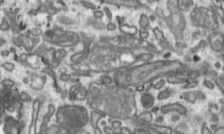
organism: Toxoplasma gondii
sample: Parasites in a vacuole inside a host cell